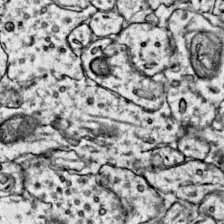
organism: Mouse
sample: Primary visual cortex